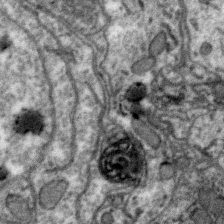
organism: Zebra finch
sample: Brain